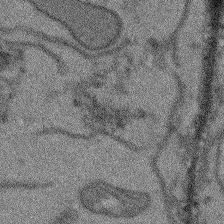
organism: Arabidopsis thaliana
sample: Root tip